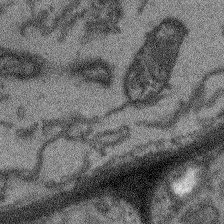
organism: Arabidopsis thaliana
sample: Root tip